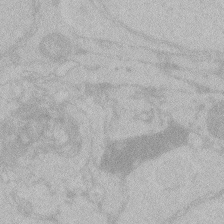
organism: Zebrafish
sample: Macrophage infected with Toxoplasma gondii